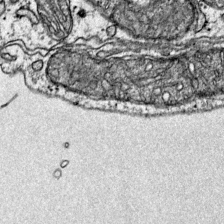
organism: Mouse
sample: Primary visual cortex